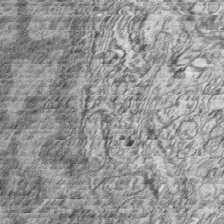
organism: Zebrafish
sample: synaptic ribbons in rod cells and cone cells